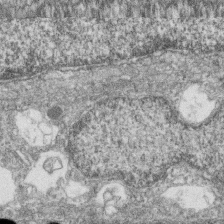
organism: Zebrafish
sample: Cilia; retinal pigment epithelium